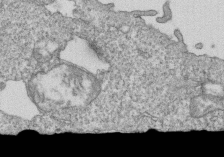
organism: Human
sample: HeLa cell HIV synapse